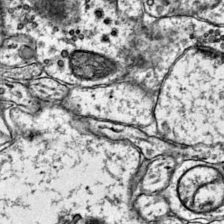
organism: Mouse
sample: Primary visual cortex